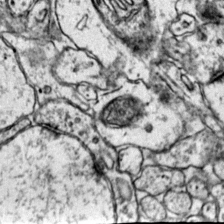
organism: Mouse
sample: Primary visual cortex